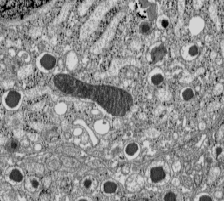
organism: C57BL Mouse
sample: Pancreatic islet